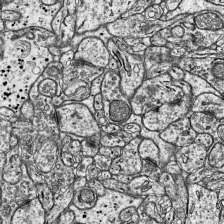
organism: Mouse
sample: Visual Cortex